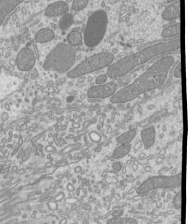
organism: Mouse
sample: Cilia; mouse epididymis